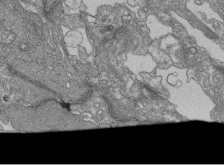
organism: Human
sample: Retinal organoid Rod and Cone cells